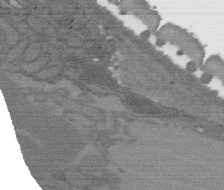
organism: C. elegans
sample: AFD neurons C. elegans